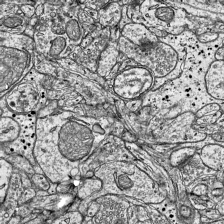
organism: Mouse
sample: Visual Cortex